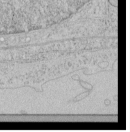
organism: Human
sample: Mitochondria in HCT116 cells